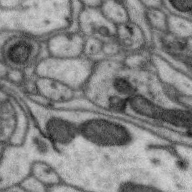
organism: Zebra finch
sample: Brain